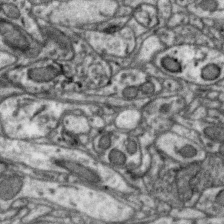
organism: Zebra finch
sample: Brain